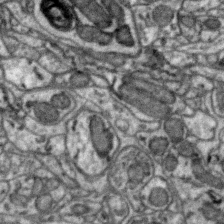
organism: Zebra finch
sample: Brain